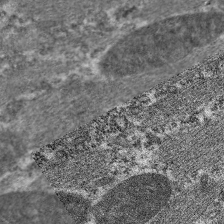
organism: C. elegans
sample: Pharynx